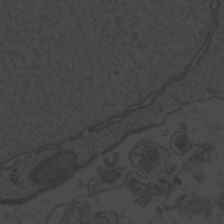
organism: Zebrafish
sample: Macrophage infected with Toxoplasma gondii